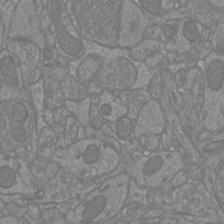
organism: Mouse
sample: Cortical neurons